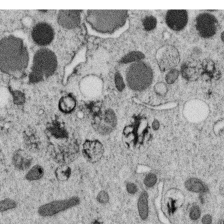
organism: C. elegans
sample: C. elegans oocyte; sperm cells